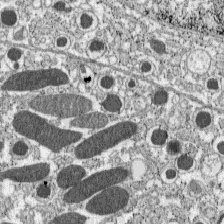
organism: C57BL Mouse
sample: Pancreatic islet